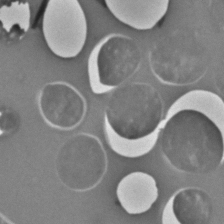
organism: C. elegans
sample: C. elegans embryo